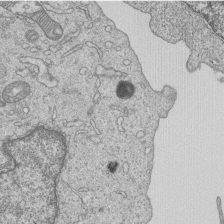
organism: Human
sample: MDA-MB-231 cells